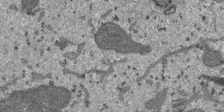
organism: Human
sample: Lung epithelial cells infected with SARS-CoV-2